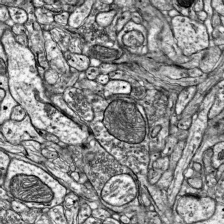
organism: Mouse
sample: Visual Cortex